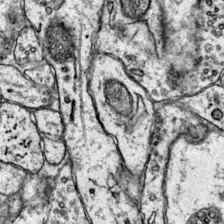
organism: Mouse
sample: Primary visual cortex